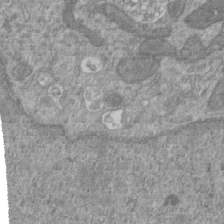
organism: Mouse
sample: ED-1 cell nuclei; centrioles